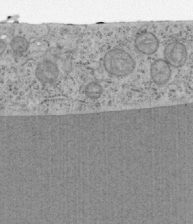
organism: Human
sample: HeLa cells